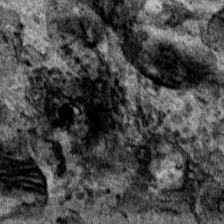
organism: Human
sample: Mitochondria in HCT116 cells